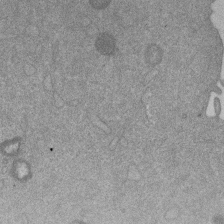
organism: Mouse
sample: Dividing mouse embryo 1 cell stage